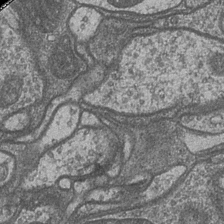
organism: Drosophila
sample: Optic medulla